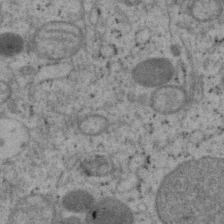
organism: Human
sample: HeLa cells